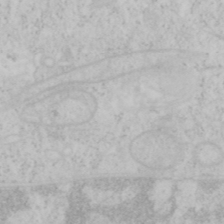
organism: Mouse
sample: OT-I killer T cells with ID8 ovarian cancer cells